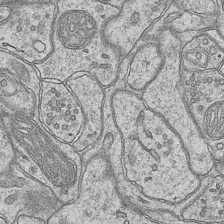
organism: Mouse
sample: CA1 Hippocampus